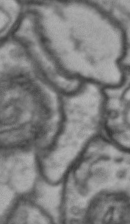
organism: Drosophila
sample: Brain